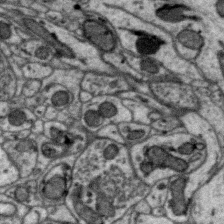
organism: Zebra finch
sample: Brain